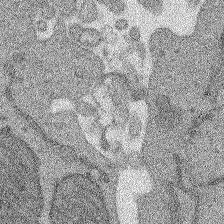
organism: Human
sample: HeLa cells